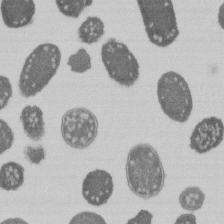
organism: E. coli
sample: Bacterial nucleoid